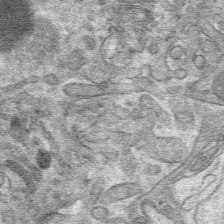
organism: Mouse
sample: Mouse hepatocytes